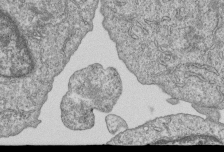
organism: Human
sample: MDA-MB-231 cells